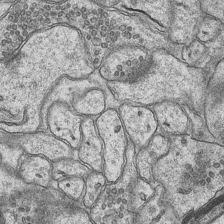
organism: Mouse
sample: CA1 Hippocampus